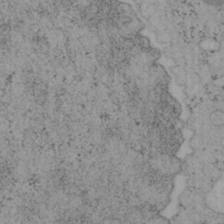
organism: Mouse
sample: OT-I killer T cells with ID8 ovarian cancer cells